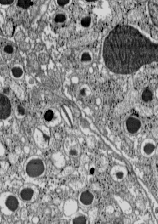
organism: C57BL Mouse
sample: Pancreatic islet